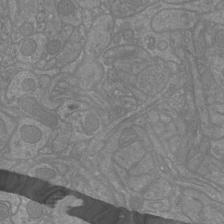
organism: Mouse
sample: Cortical neurons